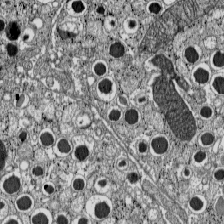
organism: C57BL Mouse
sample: Pancreatic islet